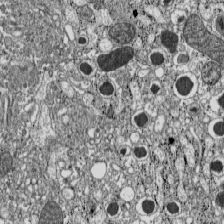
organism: C57BL Mouse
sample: Pancreatic islet